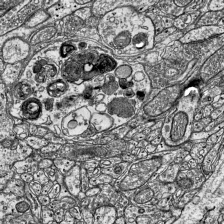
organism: Mouse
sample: Visual Cortex